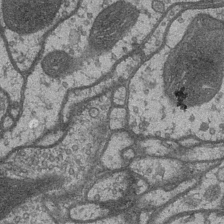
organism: Drosophila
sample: Optic medulla